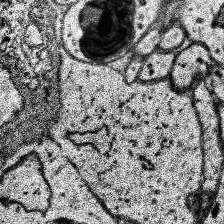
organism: Human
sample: Temporal Lobe